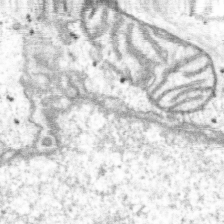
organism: Human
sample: HeLa cells